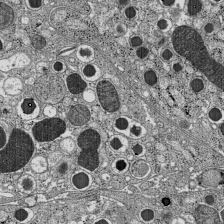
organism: C57BL Mouse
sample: Pancreatic islet